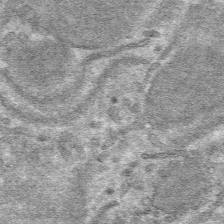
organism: Mouse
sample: Mouse hepatocytes